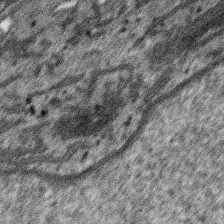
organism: Human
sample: Lung epithelial cells infected with SARS-CoV-2